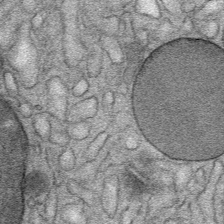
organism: Mouse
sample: Mouse Salivary gland